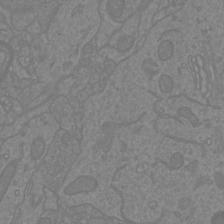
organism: Mouse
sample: Cortical neurons